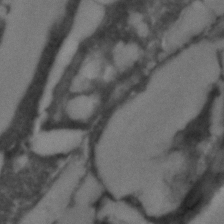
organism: C. elegans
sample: C. elegans embryo